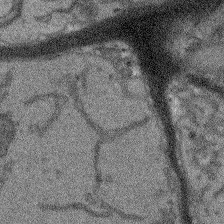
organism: Arabidopsis thaliana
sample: Root tip